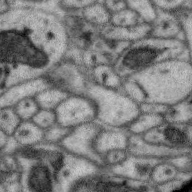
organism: Zebra finch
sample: Brain